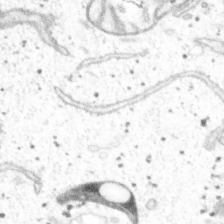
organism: Human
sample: HeLa cells